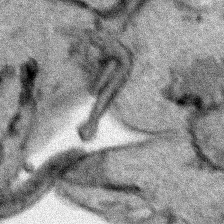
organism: Human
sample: Mitochondria in HCT116 cells